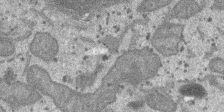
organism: Human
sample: Lung epithelial cells infected with SARS-CoV-2